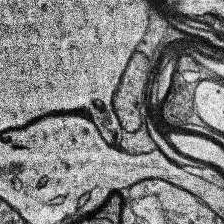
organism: Human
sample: Temporal Lobe